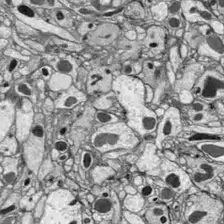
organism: Drosophila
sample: Optic lobe